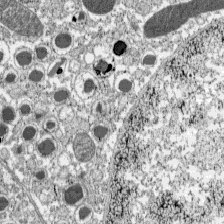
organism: C57BL Mouse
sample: Pancreatic islet